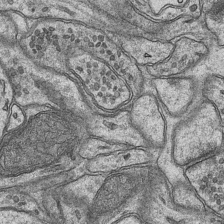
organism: Mouse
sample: CA1 Hippocampus